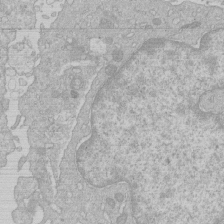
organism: Human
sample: Macrophage cells